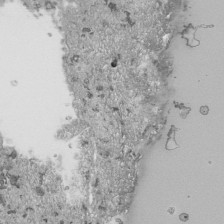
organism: Human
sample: Mitochondria in HCT116 cells